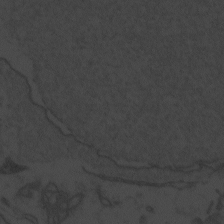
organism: Zebrafish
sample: Macrophage infected with Toxoplasma gondii